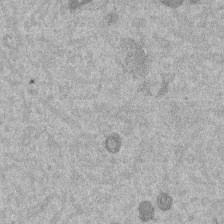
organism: Mouse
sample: Dividing mouse embryo 1 cell stage